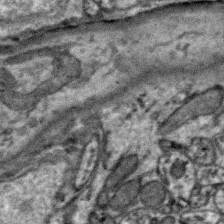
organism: Zebra finch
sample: Brain